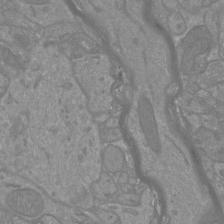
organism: Mouse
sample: Cortical neurons